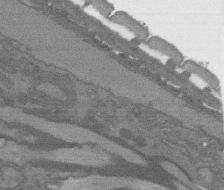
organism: C. elegans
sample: AFD neurons C. elegans